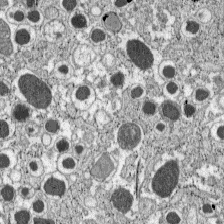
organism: C57BL Mouse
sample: Pancreatic islet